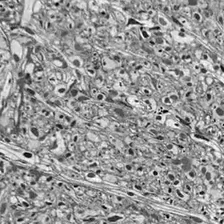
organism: Drosophila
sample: Optic lobe